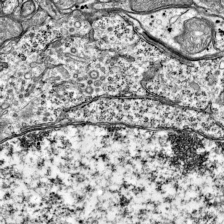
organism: Mouse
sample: Visual Cortex